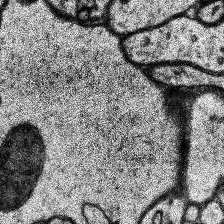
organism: Human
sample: Temporal Lobe